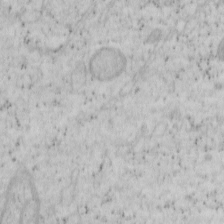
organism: Human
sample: HeLa cells